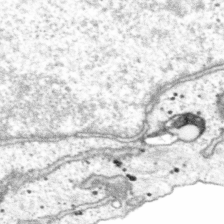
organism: Human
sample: HeLa cells